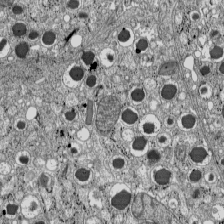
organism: C57BL Mouse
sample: Pancreatic islet